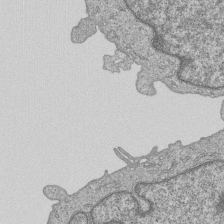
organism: Human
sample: MDA-MB-231 cells